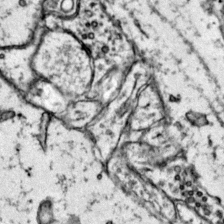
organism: Mouse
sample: Primary visual cortex